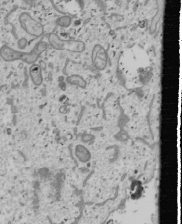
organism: Human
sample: Mitochondria in U2OS cells